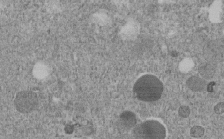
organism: C. elegans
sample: C. elegans embryo early stage